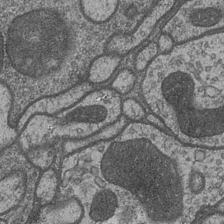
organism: Drosophila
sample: Optic medulla